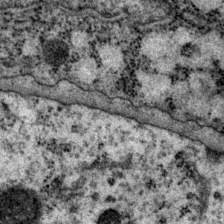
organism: P. pacificus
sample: Pharynx